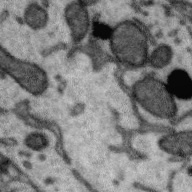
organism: Zebra finch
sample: Brain